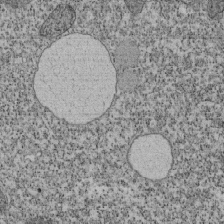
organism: Tetrahymena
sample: Cilia in tetrahymena